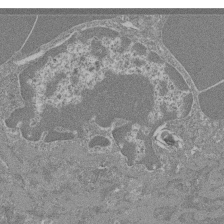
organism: Mouse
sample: Glomerulus